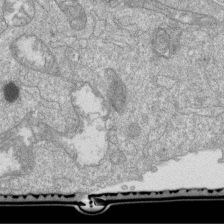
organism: Human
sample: HeLa cell HIV synapse